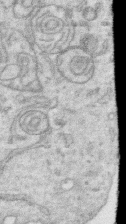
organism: Human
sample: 1205lu cells